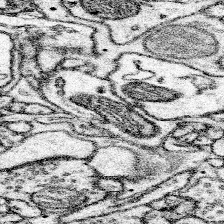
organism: Mouse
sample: Somatosensory cortex neuropil